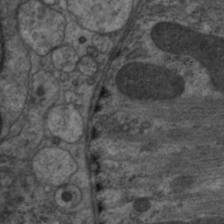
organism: C. elegans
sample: Pharynx